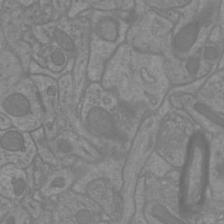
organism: Mouse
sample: Cortical neurons